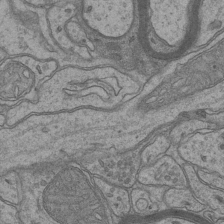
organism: Mouse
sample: CA1 Hippocampus